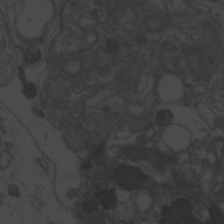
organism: Zebrafish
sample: Macrophage infected with Toxoplasma gondii